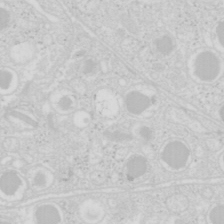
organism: Mouse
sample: Pancreas